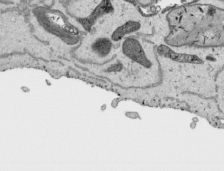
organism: Human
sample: Mitochondria in HCT116 cells